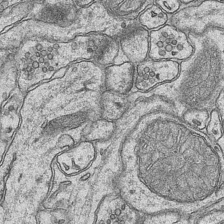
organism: Mouse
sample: CA1 Hippocampus